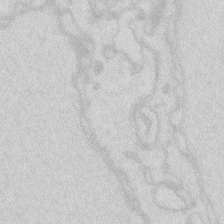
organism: Zebrafish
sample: Macrophage